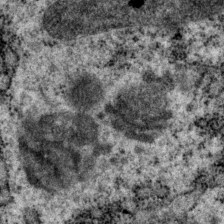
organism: P. pacificus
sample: Pharynx